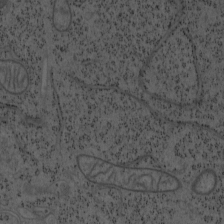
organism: Mouse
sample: OT-I killer T cells with ID8 ovarian cancer cells